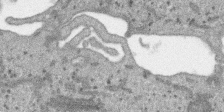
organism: Human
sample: Lung epithelial cells infected with SARS-CoV-2